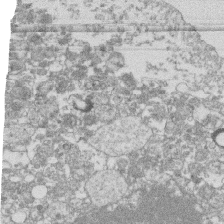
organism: Human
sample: HeLa cell HIV synapse